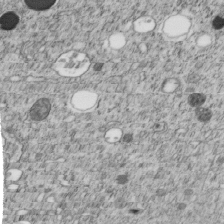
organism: C. elegans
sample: C. elegans embryo early stage